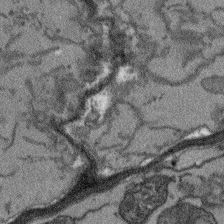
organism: Arabidopsis thaliana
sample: Root tip